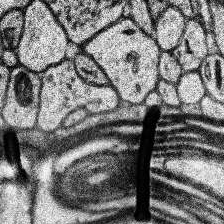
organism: Human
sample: Temporal Lobe